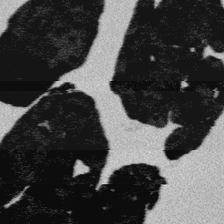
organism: Platynereis dumerilii